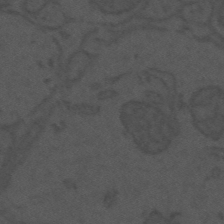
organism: Mouse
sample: Suprachiasmatic nucleus